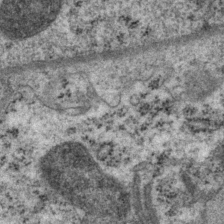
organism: P. pacificus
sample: Pharynx